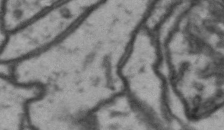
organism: Drosophila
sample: Brain